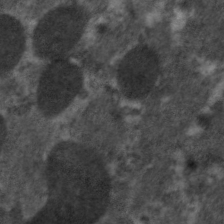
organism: C. elegans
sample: Pharynx